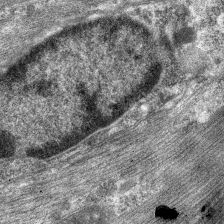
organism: C. elegans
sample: Pharynx